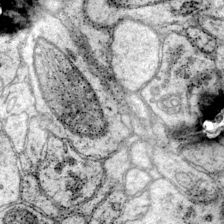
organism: Mouse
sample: Primary visual cortex